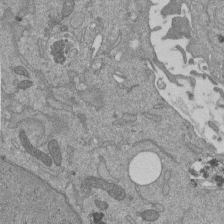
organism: Mouse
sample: ED-1 cell nuclei; centrioles